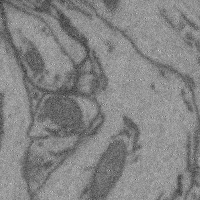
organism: Mouse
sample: Cerebral cortex